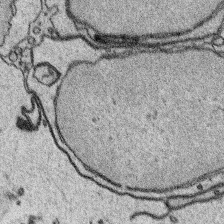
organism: Platynereis dumerilii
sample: Parapodia